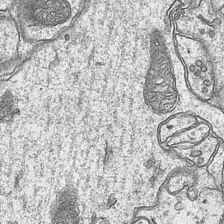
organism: Mouse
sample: CA1 Hippocampus